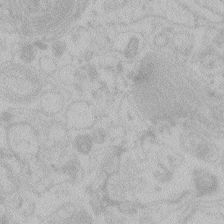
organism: Zebrafish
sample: Macrophage infected with Toxoplasma gondii